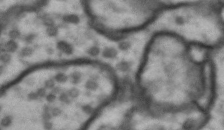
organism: Drosophila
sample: Brain